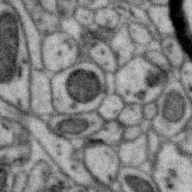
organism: Zebra finch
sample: Brain